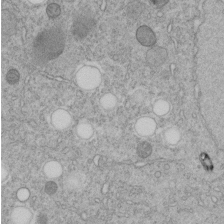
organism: C. elegans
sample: C. elegans embryo early stage